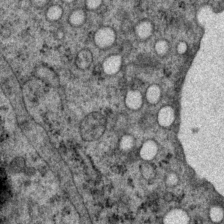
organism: P. pacificus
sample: Pharynx